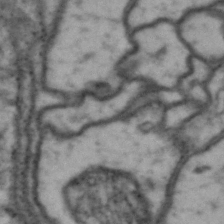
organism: Drosophila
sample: Brain